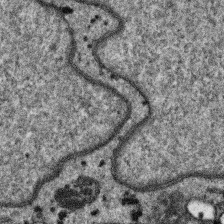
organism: Human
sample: Lung epithelial cells infected with SARS-CoV-2